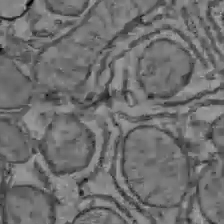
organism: C57BL Mouse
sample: Liver